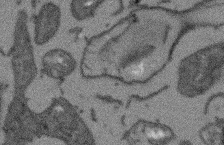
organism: Arabidopsis thaliana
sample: Root tip